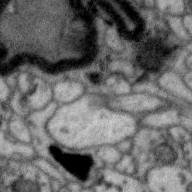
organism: Zebra finch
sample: Brain